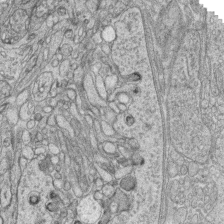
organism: Zebrafish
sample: synaptic ribbons in rod cells and cone cells